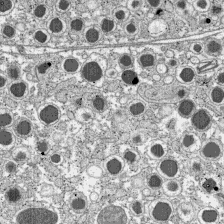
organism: C57BL Mouse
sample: Pancreatic islet